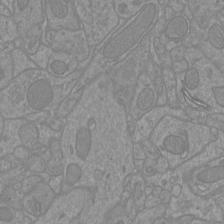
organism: Mouse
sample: Cortical neurons